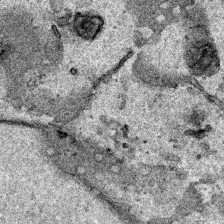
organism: Human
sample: Mitochondria in HCT116 cells